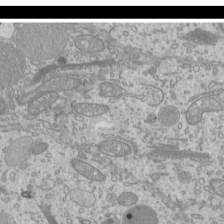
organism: Mouse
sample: Cilia; mouse epididymis